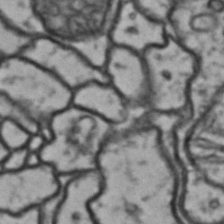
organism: Drosophila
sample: Brain